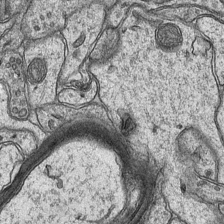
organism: Mouse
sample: CA1 Hippocampus